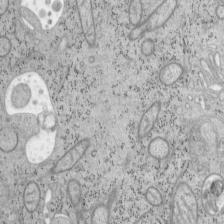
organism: Mouse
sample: OT-I killer T cells with ID8 ovarian cancer cells